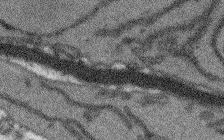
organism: Arabidopsis thaliana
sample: Root tip